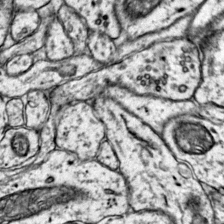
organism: Mouse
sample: Primary visual cortex